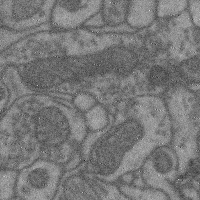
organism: Mouse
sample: Cerebral cortex